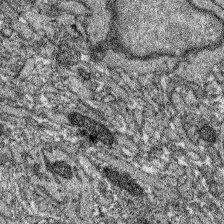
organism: Zebrafish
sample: Larval olfactory bulb